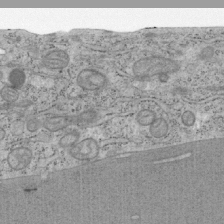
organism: Human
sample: HeLa cells